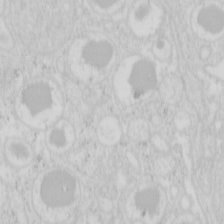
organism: Mouse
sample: Pancreas